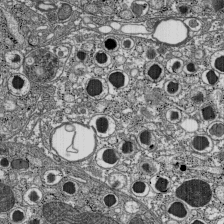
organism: C57BL Mouse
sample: Pancreatic islet